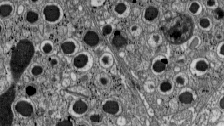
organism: C57BL Mouse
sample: Pancreatic islet